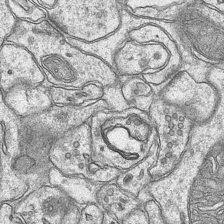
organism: Mouse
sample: CA1 Hippocampus